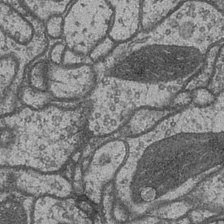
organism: Drosophila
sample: Optic medulla